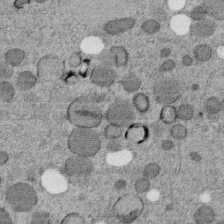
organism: C. elegans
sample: C. elegans embryo early stage